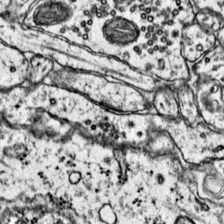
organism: Mouse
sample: Primary visual cortex